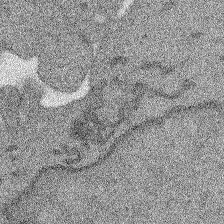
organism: Human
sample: HeLa cells